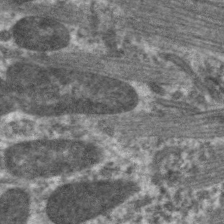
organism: C. elegans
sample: Pharynx